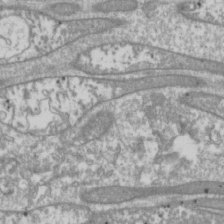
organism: Drosophila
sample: Cell division; meiosis; drosophila spermatocytes